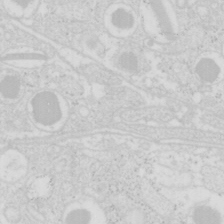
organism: Mouse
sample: Pancreas